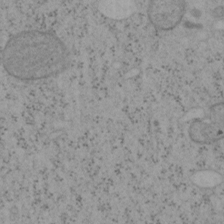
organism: Mouse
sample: OT-I killer T cells with ID8 ovarian cancer cells